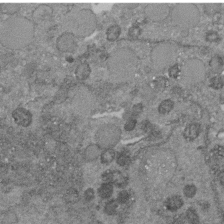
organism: C. elegans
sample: C. elegans embryo early stage